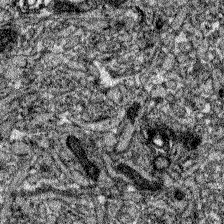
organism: Zebrafish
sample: Larval olfactory bulb